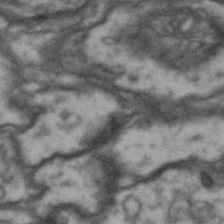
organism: Drosophila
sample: Brain